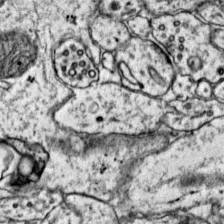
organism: Mouse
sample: Primary visual cortex